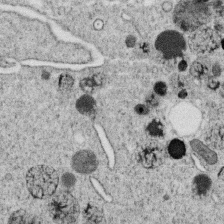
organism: C. elegans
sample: C. elegans oocyte; sperm cells